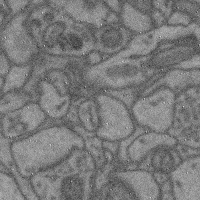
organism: Mouse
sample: Cerebral cortex